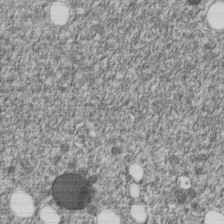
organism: C. elegans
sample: C. elegans embryo early stage